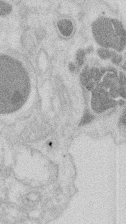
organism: Mouse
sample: T cell stromal cell synapse